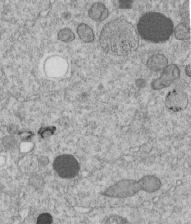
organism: C. elegans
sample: C. elegans embryo early stage